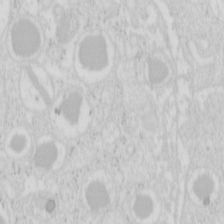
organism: Mouse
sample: Pancreas